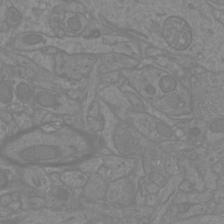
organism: Mouse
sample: Cortical neurons